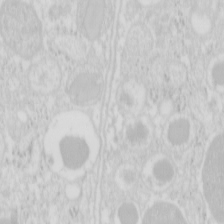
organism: Mouse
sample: Pancreas